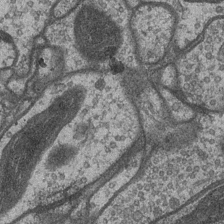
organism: Drosophila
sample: Optic medulla